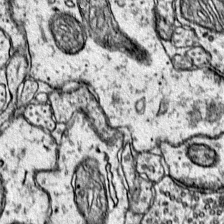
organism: Mouse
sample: Primary visual cortex